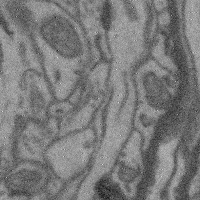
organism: Mouse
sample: Cerebral cortex